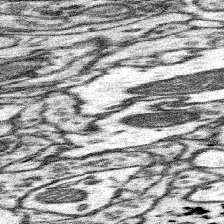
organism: Mouse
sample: Somatosensory cortex neuropil